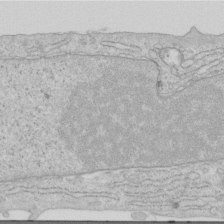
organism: Human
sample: Centriole in RPE cells